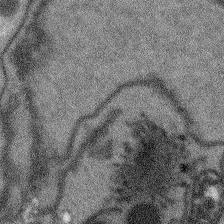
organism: Arabidopsis thaliana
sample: Root tip